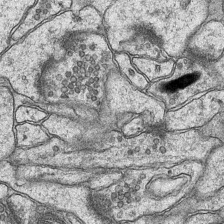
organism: Mouse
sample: CA1 Hippocampus